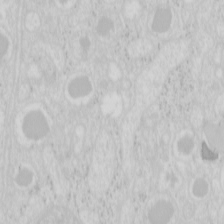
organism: Mouse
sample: Pancreas